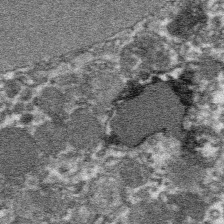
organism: Platynereis dumerilii